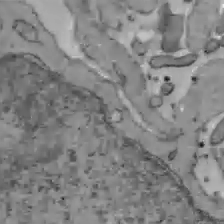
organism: C57BL Mouse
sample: Liver